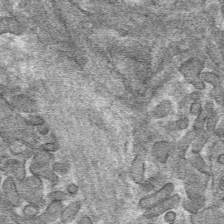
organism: Mouse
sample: Mouse hepatocytes